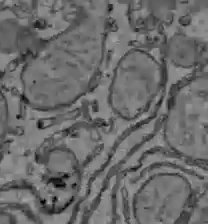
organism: C57BL Mouse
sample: Liver